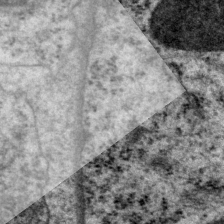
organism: P. pacificus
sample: Pharynx